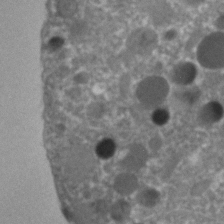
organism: C. elegans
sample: C. elegans embryo